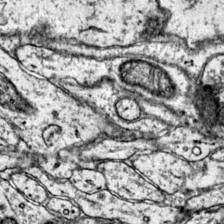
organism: Mouse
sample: Primary visual cortex